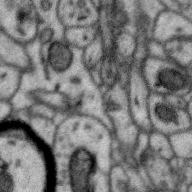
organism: Zebra finch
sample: Brain